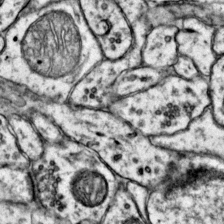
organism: Mouse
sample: Primary visual cortex